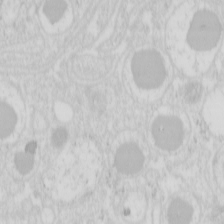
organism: Mouse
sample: Pancreas